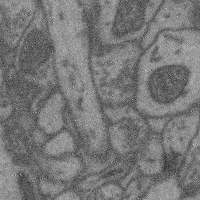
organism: Mouse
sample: Cerebral cortex